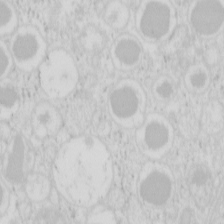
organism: Mouse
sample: Pancreas